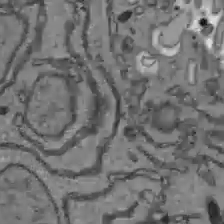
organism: C57BL Mouse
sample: Liver